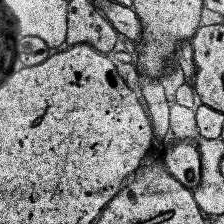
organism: Human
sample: Temporal Lobe